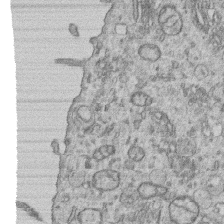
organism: Human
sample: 1205lu cells